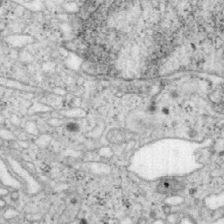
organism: Mouse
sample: OT-I killer T cells with ID8 ovarian cancer cells